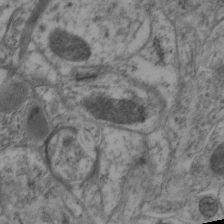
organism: Mouse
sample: Neocortex